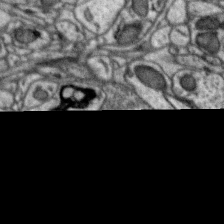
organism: Zebra finch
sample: Brain